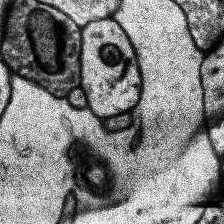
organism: Human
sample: Temporal Lobe